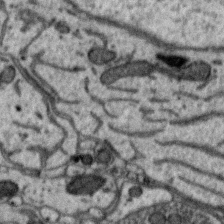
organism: Zebra finch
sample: Brain